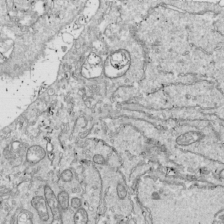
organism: Drosophila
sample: Cell division; meiosis; drosophila spermatocytes